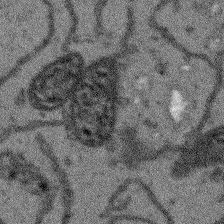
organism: Arabidopsis thaliana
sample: Root tip